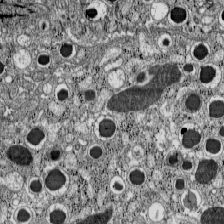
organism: C57BL Mouse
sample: Pancreatic islet